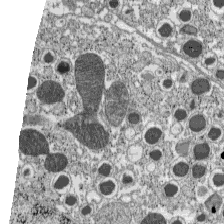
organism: C57BL Mouse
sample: Pancreatic islet